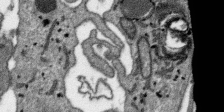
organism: Human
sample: Lung epithelial cells, uninfected (mock) control